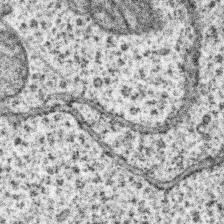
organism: Human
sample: HeLa cells